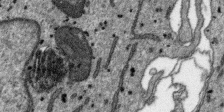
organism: Human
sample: Lung epithelial cells, uninfected (mock) control